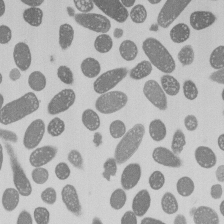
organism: E. coli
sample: Bacterial nucleoid